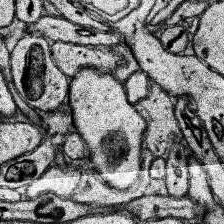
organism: Human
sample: Temporal Lobe